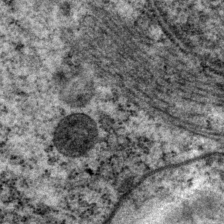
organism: P. pacificus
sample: Pharynx